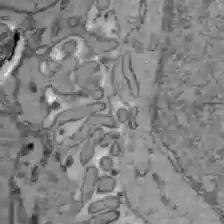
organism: C57BL Mouse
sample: Liver